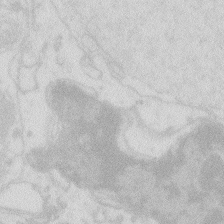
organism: Zebrafish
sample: Macrophage